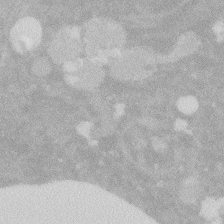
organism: Zebrafish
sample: Macrophage